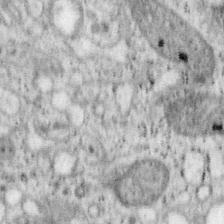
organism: Mouse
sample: OT-I killer T cells with ID8 ovarian cancer cells